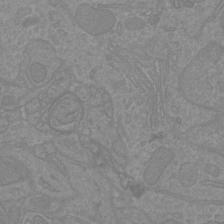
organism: Mouse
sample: Cortical neurons